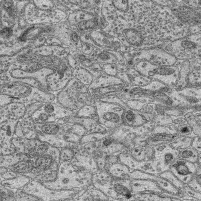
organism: Mouse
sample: Retina